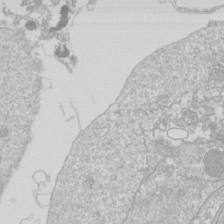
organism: Drosophila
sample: Cell division; meiosis; drosophila spermatocytes